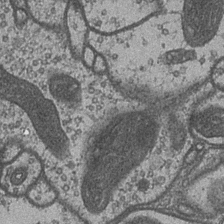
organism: Drosophila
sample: Optic medulla